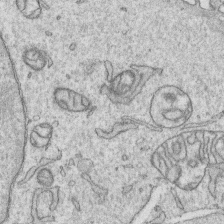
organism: Human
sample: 1205lu cells